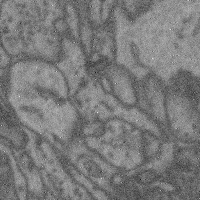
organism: Mouse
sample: Cerebral cortex